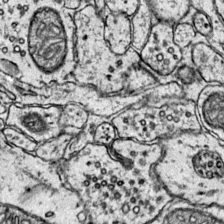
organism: Mouse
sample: Primary visual cortex